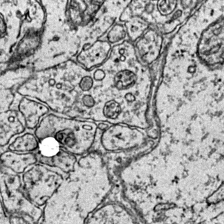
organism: Mouse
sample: Primary visual cortex